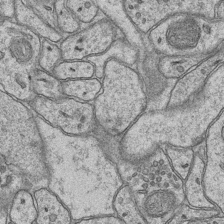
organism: Mouse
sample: CA1 Hippocampus